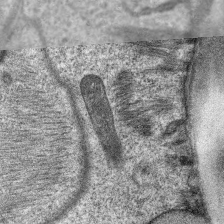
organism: C. elegans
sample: Pharynx